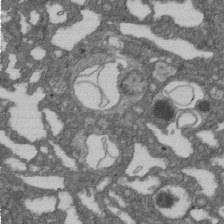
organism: Drosophila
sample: Nephrocyte